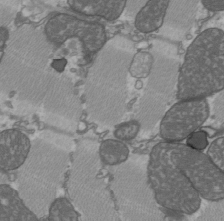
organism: C57BL Mouse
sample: Heart